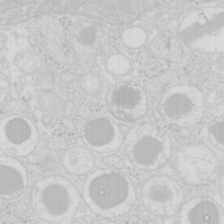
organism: Mouse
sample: Pancreas